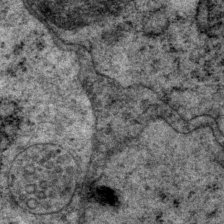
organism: P. pacificus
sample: Pharynx